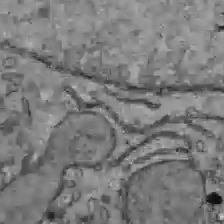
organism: C57BL Mouse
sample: Liver